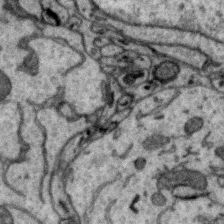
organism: Zebra finch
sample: Brain